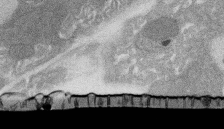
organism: Rat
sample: Salivary granule